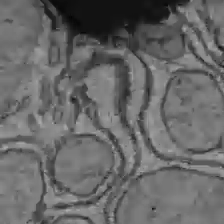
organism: C57BL Mouse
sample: Liver